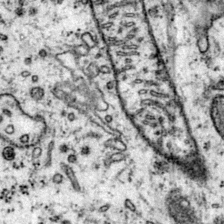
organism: Mouse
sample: Primary visual cortex